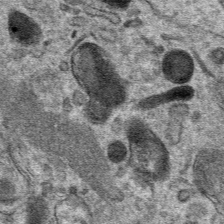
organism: Mouse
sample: Mouse hepatocytes